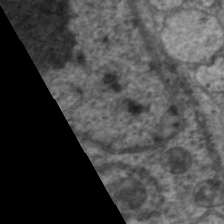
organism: C. elegans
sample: Pharynx